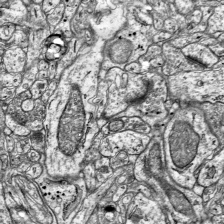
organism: Mouse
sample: Visual Cortex